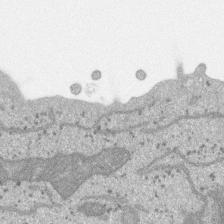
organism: Human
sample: Lung epithelial cells infected with SARS-CoV-2